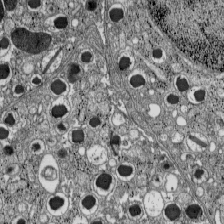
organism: C57BL Mouse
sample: Pancreatic islet